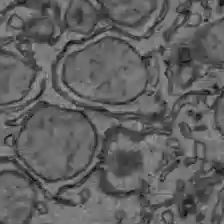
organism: C57BL Mouse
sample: Liver